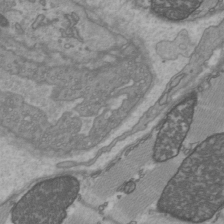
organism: C57BL Mouse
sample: Heart